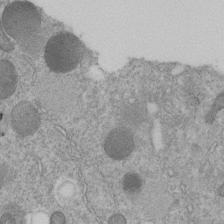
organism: C. elegans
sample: C. elegans embryo early stage